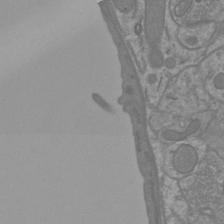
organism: Mouse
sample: Cortical neurons